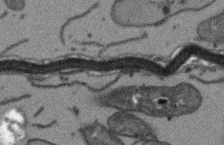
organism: Arabidopsis thaliana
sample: Root tip